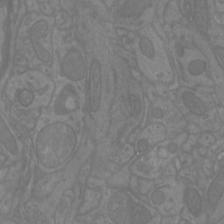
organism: Mouse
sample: Cortical neurons